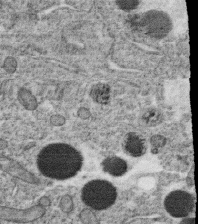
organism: C. elegans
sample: C. elegans oocyte; sperm cells